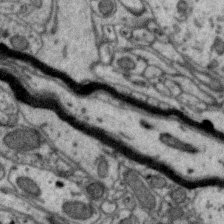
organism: Zebra finch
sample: Brain